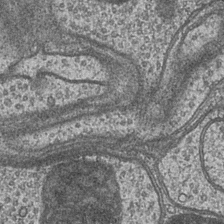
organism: Drosophila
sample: Optic medulla